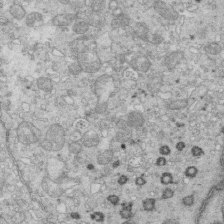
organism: Mouse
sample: Multiciliated cells